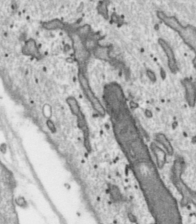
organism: Toxoplasma gondii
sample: Parasites in a vacuole inside a host cell